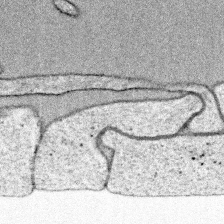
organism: Human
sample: HeLa cells